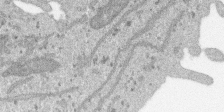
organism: Human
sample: Lung epithelial cells infected with SARS-CoV-2